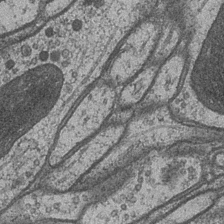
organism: Drosophila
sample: Optic medulla